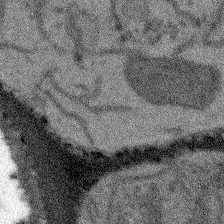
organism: Arabidopsis thaliana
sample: Root tip